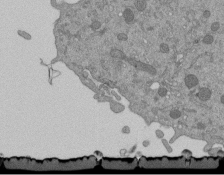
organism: Mouse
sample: ED-1 cell nuclei; centrioles